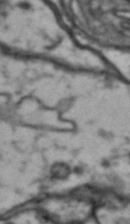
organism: Drosophila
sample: Brain